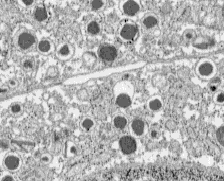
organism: C57BL Mouse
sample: Pancreatic islet